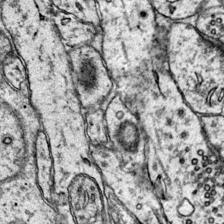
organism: Mouse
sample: Primary visual cortex